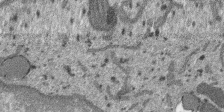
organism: Human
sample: Lung epithelial cells infected with SARS-CoV-2